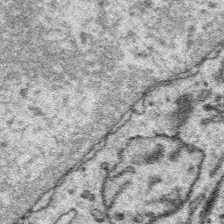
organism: Platynereis dumerilii